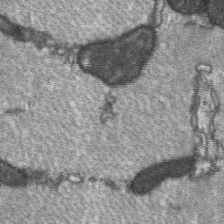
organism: C57BL Mouse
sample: Soleus